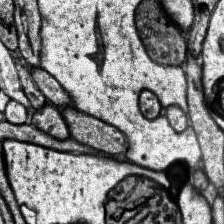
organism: Human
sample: Temporal Lobe